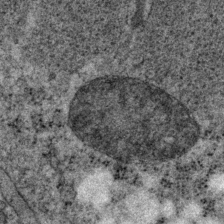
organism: P. pacificus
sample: Pharynx